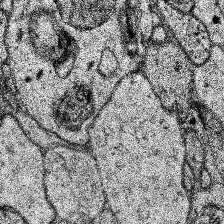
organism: Human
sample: Temporal Lobe